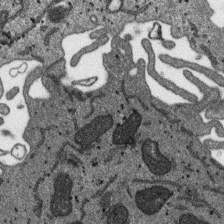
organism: Human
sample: Lung epithelial cells infected with SARS-CoV-2